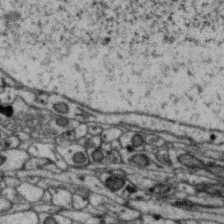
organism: Zebra finch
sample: Brain